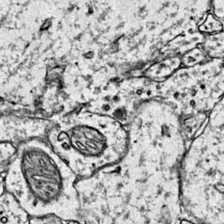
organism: Mouse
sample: Primary visual cortex